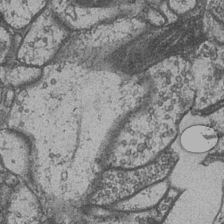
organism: Drosophila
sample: Optic medulla